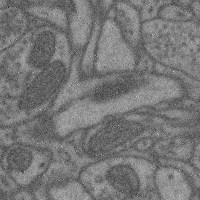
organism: Mouse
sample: Cerebral cortex